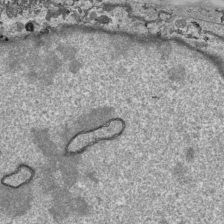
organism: Human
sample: Mitochondria in HCT116 cells